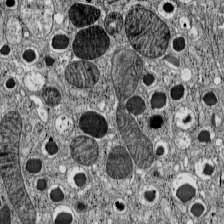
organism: C57BL Mouse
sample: Pancreatic islet